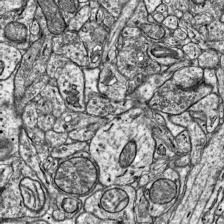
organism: Mouse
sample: Visual Cortex